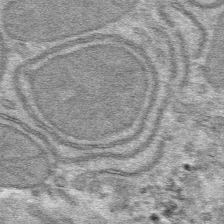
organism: Mouse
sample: Mouse hepatocytes